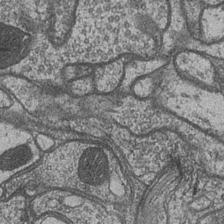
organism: Drosophila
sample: Optic medulla